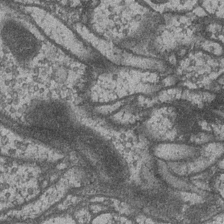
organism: Drosophila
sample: Optic medulla